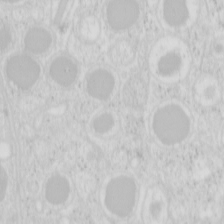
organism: Mouse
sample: Pancreas